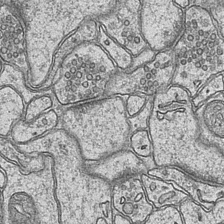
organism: Mouse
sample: CA1 Hippocampus